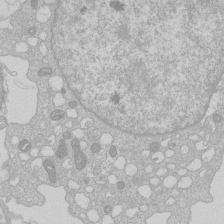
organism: Human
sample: Macrophage cells